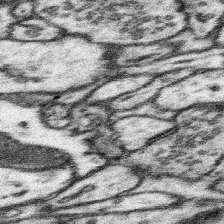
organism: Mouse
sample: Somatosensory cortex neuropil